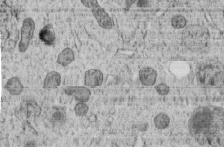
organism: C. elegans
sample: C. elegans embryo early stage